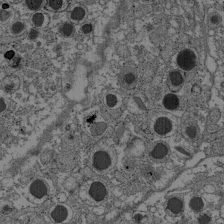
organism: C57BL Mouse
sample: Pancreatic islet